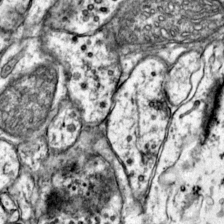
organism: Mouse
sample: Primary visual cortex